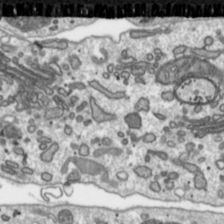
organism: Toxoplasma gondii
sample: Parasites in a vacuole inside a host cell